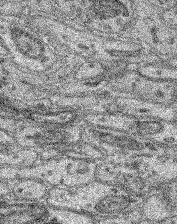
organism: Mouse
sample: Retina